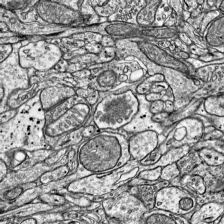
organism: Mouse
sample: Visual Cortex